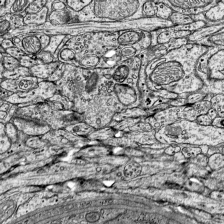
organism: Mouse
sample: Visual Cortex